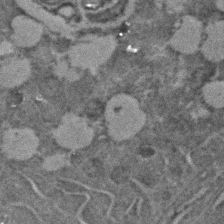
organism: C. elegans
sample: C. elegans embryo